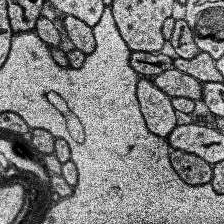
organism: Human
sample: Temporal Lobe